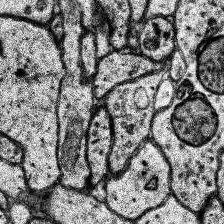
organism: Human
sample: Temporal Lobe